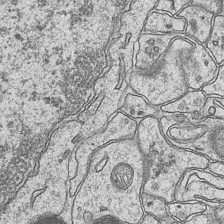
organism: Mouse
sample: CA1 Hippocampus